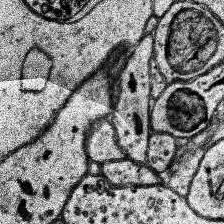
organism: Human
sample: Temporal Lobe